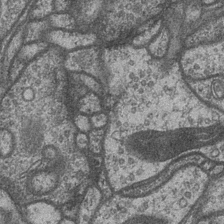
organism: Drosophila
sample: Optic medulla